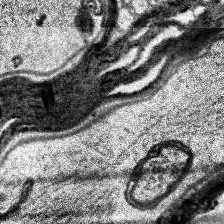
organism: Human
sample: Temporal Lobe